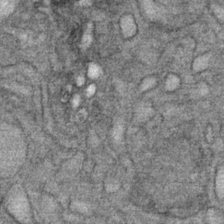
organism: Mouse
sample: Mouse Salivary gland